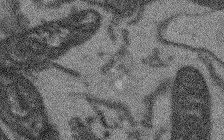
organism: Arabidopsis thaliana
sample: Root tip